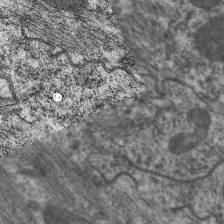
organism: C. elegans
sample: Pharynx